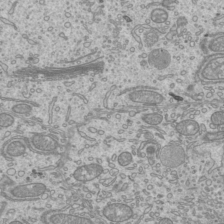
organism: Mouse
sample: Cilia; mouse epididymis